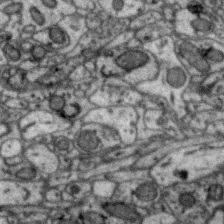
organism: Zebra finch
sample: Brain